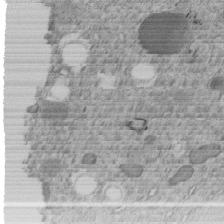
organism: C. elegans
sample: C. elegans embryo early stage